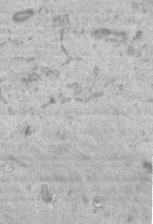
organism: Mouse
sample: Centriole in ependymal cells